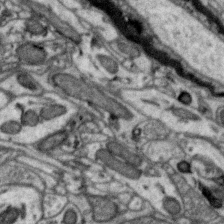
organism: Zebra finch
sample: Brain